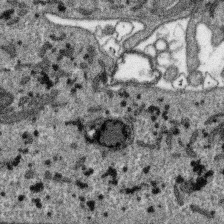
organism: Human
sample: Lung epithelial cells infected with SARS-CoV-2